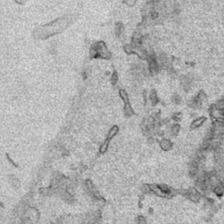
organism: Human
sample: Mitochondria in HCT116 cells